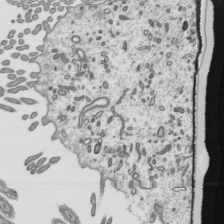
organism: Mouse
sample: Mouse epididymis efferent ductule cilia